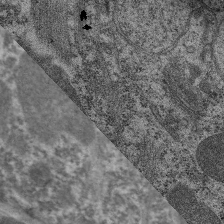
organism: C. elegans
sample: Pharynx